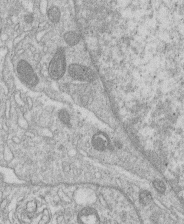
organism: Human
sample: Macrophage cells